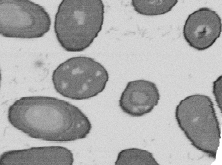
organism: B. subtilis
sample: Bacterial spore